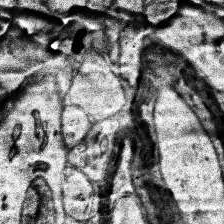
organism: Human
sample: Temporal Lobe